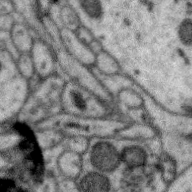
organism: Zebra finch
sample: Brain